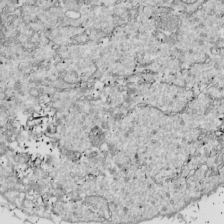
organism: Drosophila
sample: Cell division; meiosis; drosophila spermatocytes